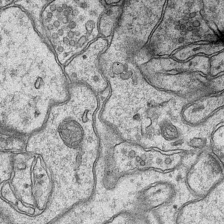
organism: Mouse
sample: CA1 Hippocampus